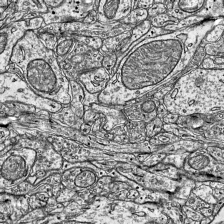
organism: Mouse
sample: Visual Cortex